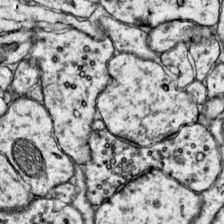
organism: Mouse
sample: Primary visual cortex